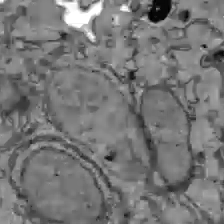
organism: C57BL Mouse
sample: Liver